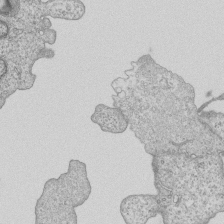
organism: Human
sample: MDA-MB-231 cells